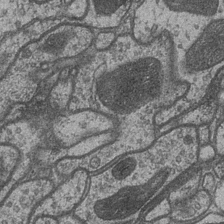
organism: Drosophila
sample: Optic medulla